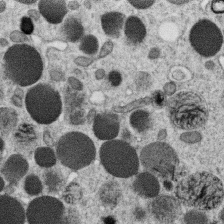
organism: C. elegans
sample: C. elegans oocyte; sperm cells